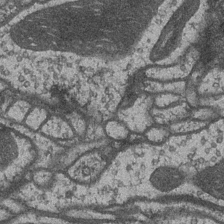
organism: Drosophila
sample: Optic medulla